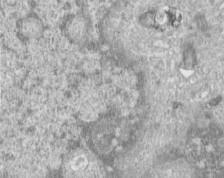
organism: Human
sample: Centriole in RPE cells